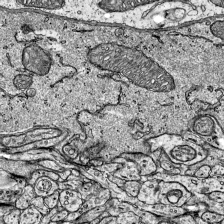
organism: Mouse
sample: Visual Cortex